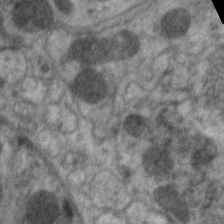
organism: C. elegans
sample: Pharynx